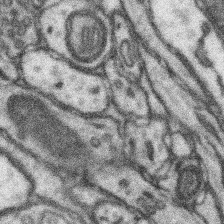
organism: Mouse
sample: Somatosensory cortex neuropil